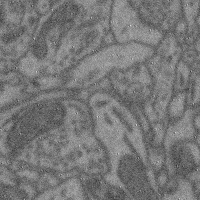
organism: Mouse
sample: Cerebral cortex